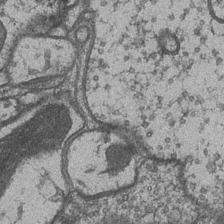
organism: Drosophila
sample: Optic medulla